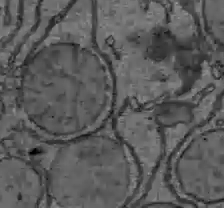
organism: C57BL Mouse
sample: Liver